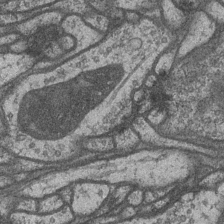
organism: Drosophila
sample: Optic medulla